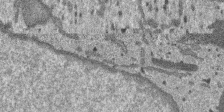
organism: Human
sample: Lung epithelial cells infected with SARS-CoV-2